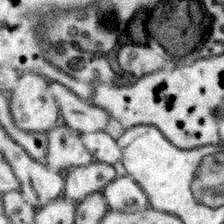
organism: Mouse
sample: Somatosensory cortex neuropil